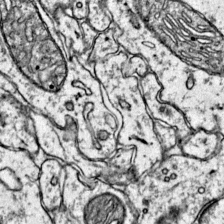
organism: Mouse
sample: Primary visual cortex